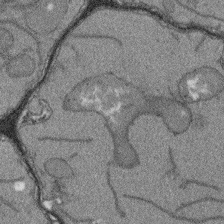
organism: Arabidopsis thaliana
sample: Root tip